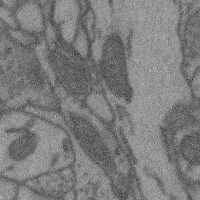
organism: Mouse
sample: Cerebral cortex